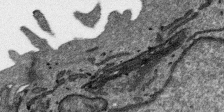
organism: Human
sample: Lung epithelial cells, uninfected (mock) control